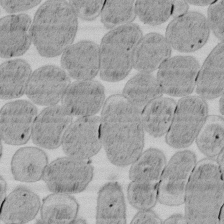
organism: E. coli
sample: Bacterial nucleoid